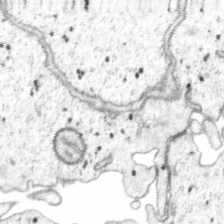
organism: Human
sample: HeLa cells